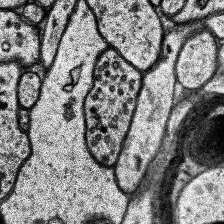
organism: Human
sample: Temporal Lobe